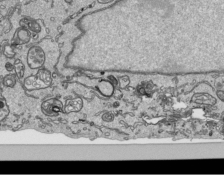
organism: Human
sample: Mitochondria in HCT116 cells